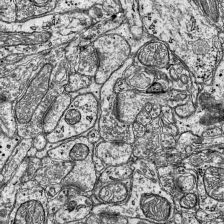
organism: Mouse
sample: Visual Cortex